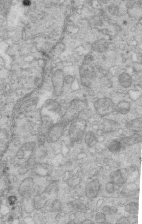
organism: Mouse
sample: Multiciliated cells